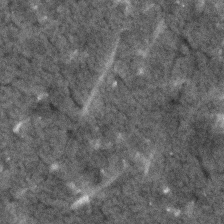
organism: Human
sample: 1205lu cells